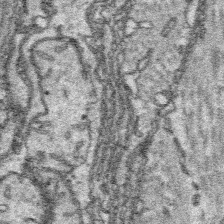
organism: Platynereis dumerilii